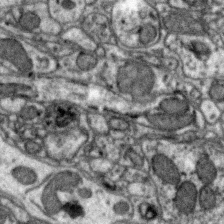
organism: Zebra finch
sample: Brain